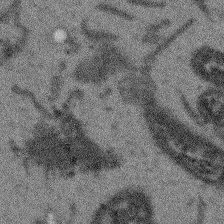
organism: Arabidopsis thaliana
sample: Root tip